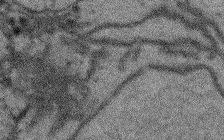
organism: Arabidopsis thaliana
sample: Root tip